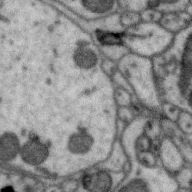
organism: Zebra finch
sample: Brain